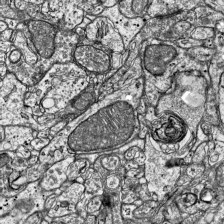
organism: Mouse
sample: Visual Cortex